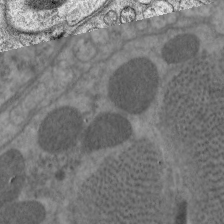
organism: C. elegans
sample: Pharynx